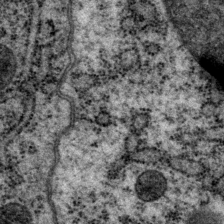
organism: P. pacificus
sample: Pharynx